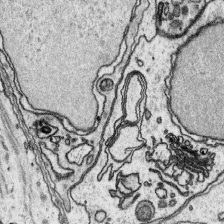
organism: Platynereis dumerilii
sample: Parapodia